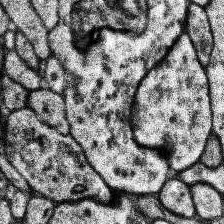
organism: Human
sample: Temporal Lobe